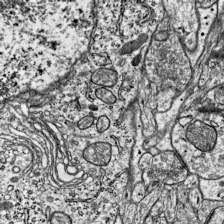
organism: Mouse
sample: Visual Cortex